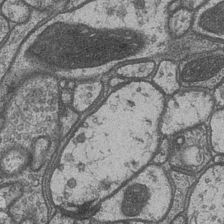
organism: Drosophila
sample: Optic medulla